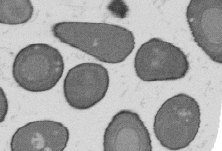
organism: B. subtilis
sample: Bacterial spore